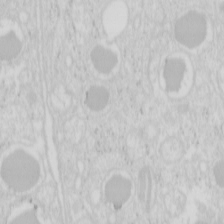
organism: Mouse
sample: Pancreas